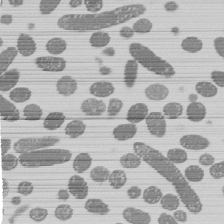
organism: E. coli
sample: Bacterial nucleoid